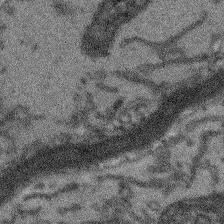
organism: Arabidopsis thaliana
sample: Root tip